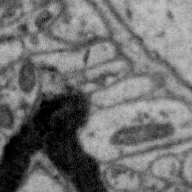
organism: Zebra finch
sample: Brain